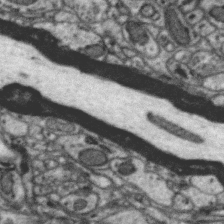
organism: Zebra finch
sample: Brain